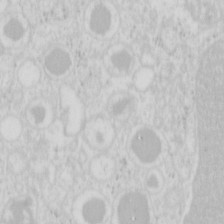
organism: Mouse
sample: Pancreas